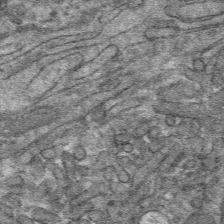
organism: Mouse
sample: Mouse hepatocytes